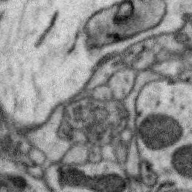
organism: Zebra finch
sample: Brain